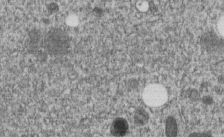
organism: C. elegans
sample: C. elegans embryo early stage